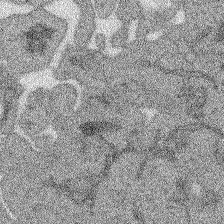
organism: Human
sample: HeLa cells